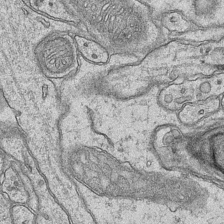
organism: Mouse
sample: CA1 Hippocampus